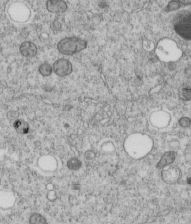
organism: C. elegans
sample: C. elegans embryo early stage